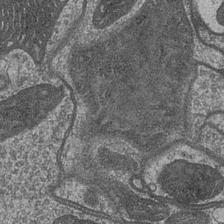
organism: Drosophila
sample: Optic medulla